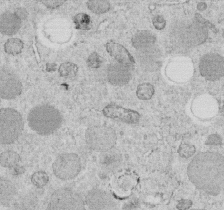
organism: C. elegans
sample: C. elegans embryo early stage